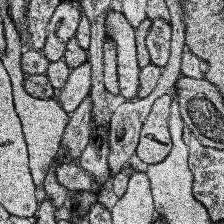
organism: Human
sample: Temporal Lobe